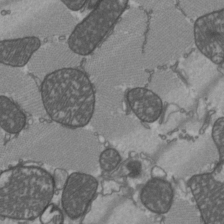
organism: C57BL Mouse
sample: Heart